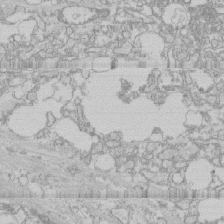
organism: Human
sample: CRL-1474